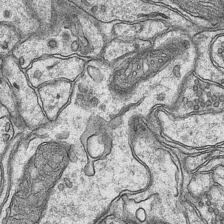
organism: Mouse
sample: CA1 Hippocampus